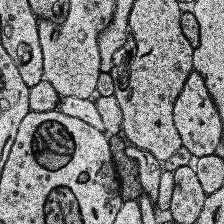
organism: Human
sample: Temporal Lobe